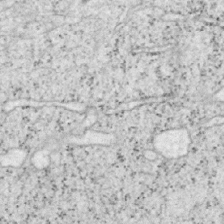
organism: Mouse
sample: OT-I killer T cells with ID8 ovarian cancer cells